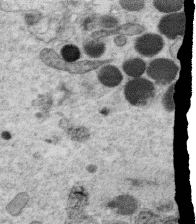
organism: C. elegans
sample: C. elegans oocyte; sperm cells